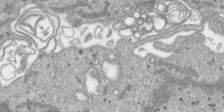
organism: Human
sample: Lung epithelial cells infected with SARS-CoV-2